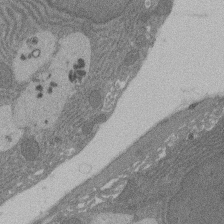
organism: Rat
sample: Salivary granule